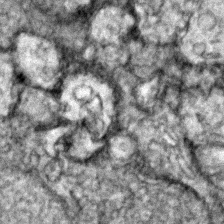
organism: Zebrafish